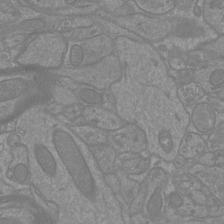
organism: Mouse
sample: Cortical neurons